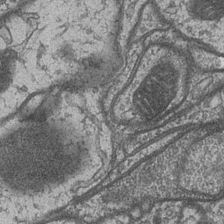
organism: Drosophila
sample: Optic medulla